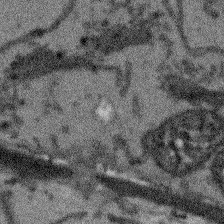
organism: Arabidopsis thaliana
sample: Root tip